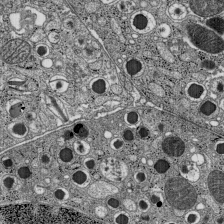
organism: C57BL Mouse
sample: Pancreatic islet